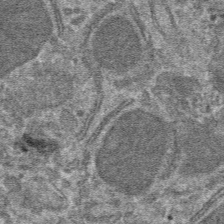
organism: Mouse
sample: Mouse hepatocytes